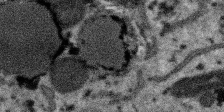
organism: Human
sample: Lung epithelial cells infected with SARS-CoV-2